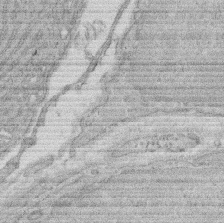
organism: Rat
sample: Salivary granule